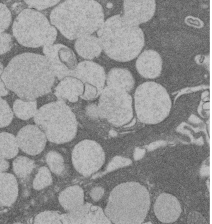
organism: Rat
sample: Salivary granule